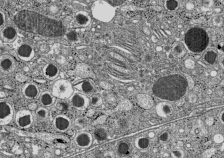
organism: C57BL Mouse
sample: Pancreatic islet